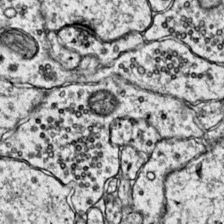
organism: Mouse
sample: Primary visual cortex